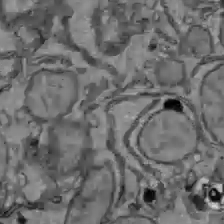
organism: C57BL Mouse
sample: Liver